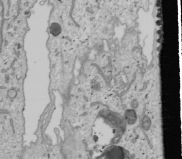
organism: Human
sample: Mitochondria in U2OS cells